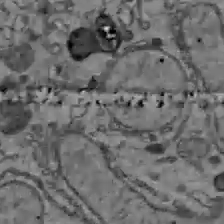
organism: C57BL Mouse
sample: Liver